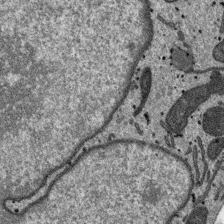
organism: Human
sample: Lung epithelial cells, uninfected (mock) control